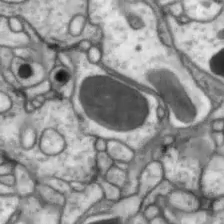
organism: Drosophila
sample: Optic lobe